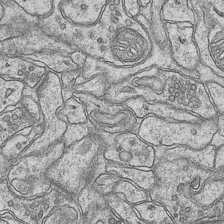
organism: Mouse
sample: CA1 Hippocampus